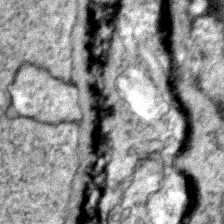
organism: Zebrafish